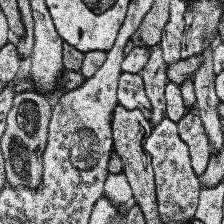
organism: Human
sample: Temporal Lobe